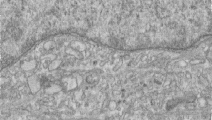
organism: Human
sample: Centriole in RPE cells